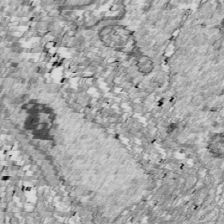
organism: Drosophila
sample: Cell division; meiosis; drosophila spermatocytes